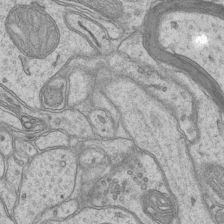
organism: Mouse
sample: CA1 Hippocampus